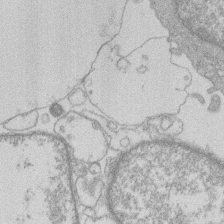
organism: Human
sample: Macrophage cells